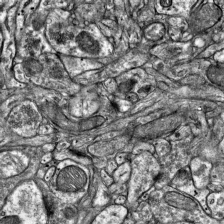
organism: Mouse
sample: Visual Cortex